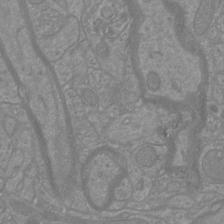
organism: Mouse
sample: Cortical neurons